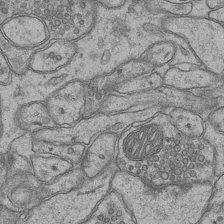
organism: Mouse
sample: CA1 Hippocampus